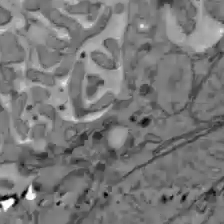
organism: C57BL Mouse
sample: Liver